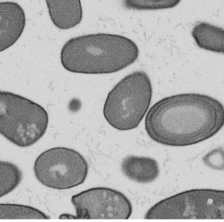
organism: B. subtilis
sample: Bacterial spore